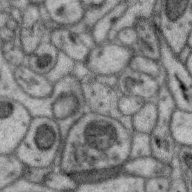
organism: Zebra finch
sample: Brain